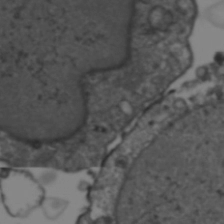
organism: Human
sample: HIV-1 Gag-iGFP